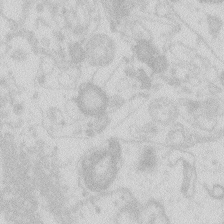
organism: Zebrafish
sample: Macrophage